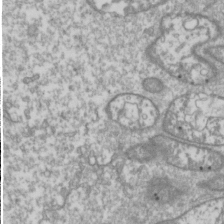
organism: Drosophila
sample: Cell division; meiosis; drosophila spermatocytes